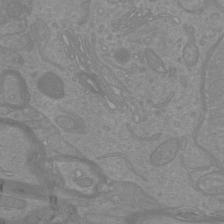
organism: Mouse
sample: Cortical neurons